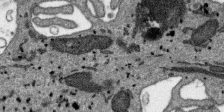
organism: Human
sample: Lung epithelial cells, uninfected (mock) control